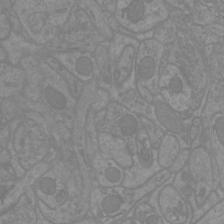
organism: Mouse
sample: Cortical neurons